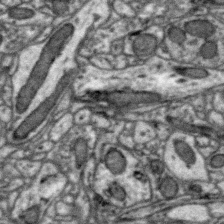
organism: Zebra finch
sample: Brain